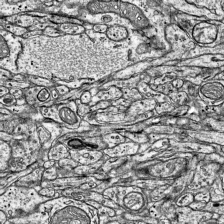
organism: Mouse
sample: Visual Cortex